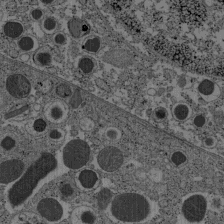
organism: C57BL Mouse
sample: Pancreatic islet